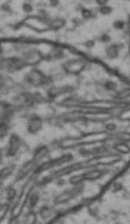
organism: Drosophila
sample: Brain